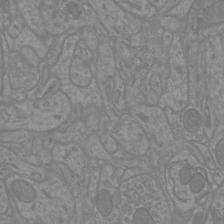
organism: Mouse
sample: Cortical neurons